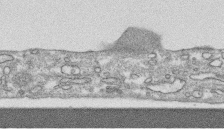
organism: Human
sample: CRL-1474